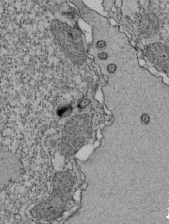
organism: Tetrahymena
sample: Cilia in tetrahymena